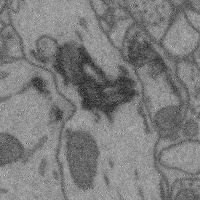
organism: Mouse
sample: Cerebral cortex